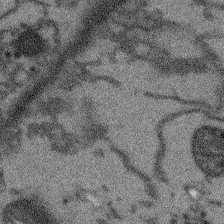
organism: Arabidopsis thaliana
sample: Root tip